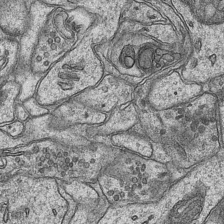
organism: Mouse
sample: CA1 Hippocampus